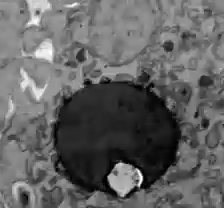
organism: C57BL Mouse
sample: Liver